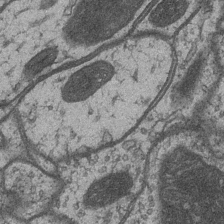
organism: Drosophila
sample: Optic medulla